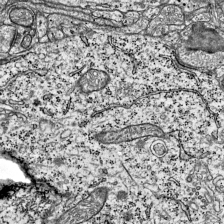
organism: Mouse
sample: Visual Cortex